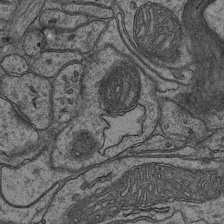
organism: Mouse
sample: CA1 Hippocampus